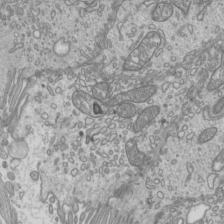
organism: Mouse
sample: Cilia; mouse epididymis